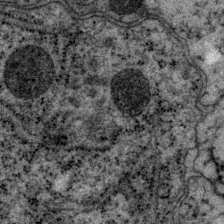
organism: P. pacificus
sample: Pharynx